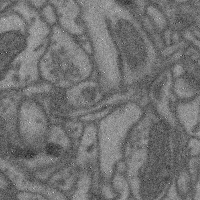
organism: Mouse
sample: Cerebral cortex